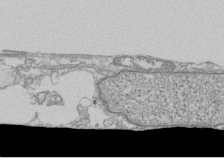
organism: Human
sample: Fibroblast cells